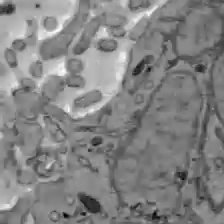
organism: C57BL Mouse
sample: Liver